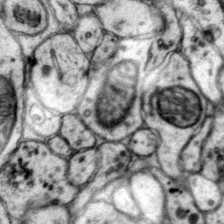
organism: Mouse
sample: Primary visual cortex